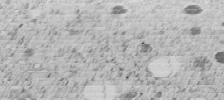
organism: C. elegans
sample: C. elegans embryo early stage